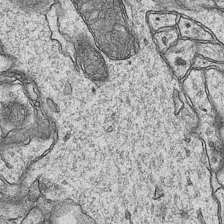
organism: Mouse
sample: CA1 Hippocampus